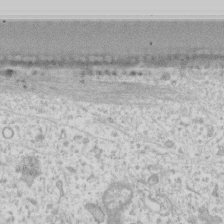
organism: Human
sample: Fibroblast cells